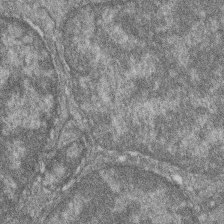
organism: Zebrafish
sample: Cilia; retinal pigment epithelium